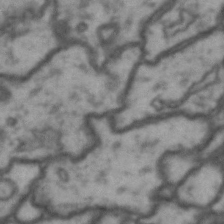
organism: Drosophila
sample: Brain